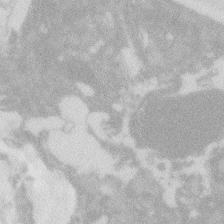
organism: Zebrafish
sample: Macrophage